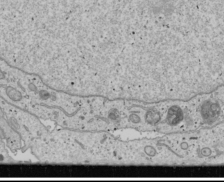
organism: Human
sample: Mitochondria in U2OS cells